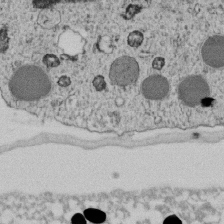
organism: C. elegans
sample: C. elegans embryo early stage